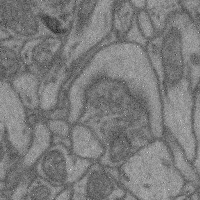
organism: Mouse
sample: Cerebral cortex